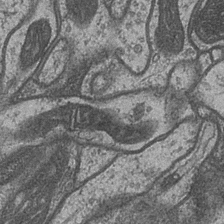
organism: Drosophila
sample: Optic medulla